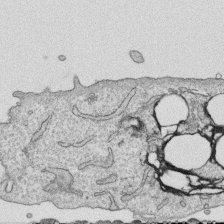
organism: Human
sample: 1205lu cells